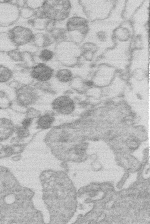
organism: Human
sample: Macrophage cells